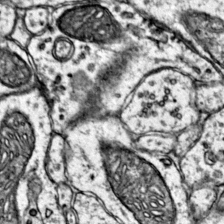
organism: Mouse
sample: Primary visual cortex